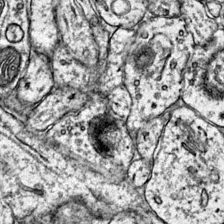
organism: Mouse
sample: Primary visual cortex